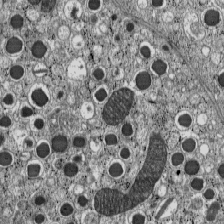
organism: C57BL Mouse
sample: Pancreatic islet